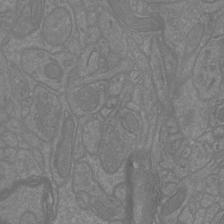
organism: Mouse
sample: Cortical neurons